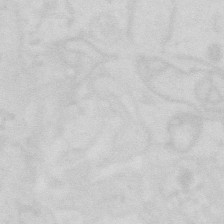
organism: Human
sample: HeLa cells